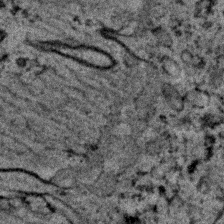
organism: C. elegans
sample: C. elegans embryo